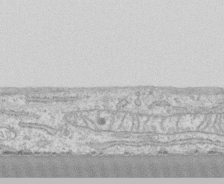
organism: Human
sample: CRL-1474